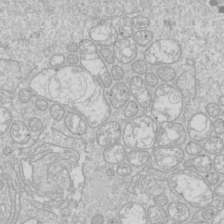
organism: Drosophila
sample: Cell division; meiosis; drosophila spermatocytes